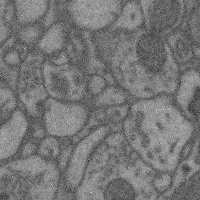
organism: Mouse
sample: Cerebral cortex